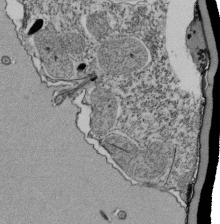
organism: Tetrahymena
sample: Cilia in tetrahymena